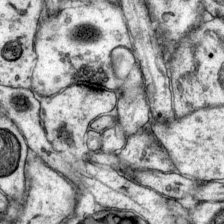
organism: Mouse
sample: Primary visual cortex